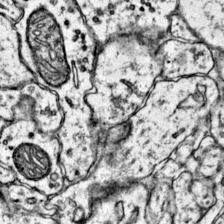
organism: Mouse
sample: Primary visual cortex